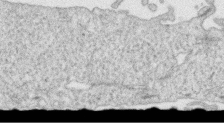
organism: Human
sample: HeLa cell HIV synapse